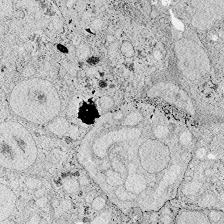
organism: Zebrafish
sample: Whole-Brain